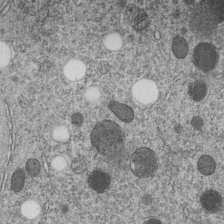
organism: C. elegans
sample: C. elegans embryo early stage